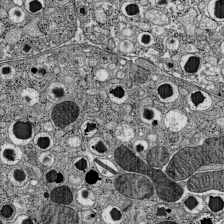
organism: C57BL Mouse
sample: Pancreatic islet